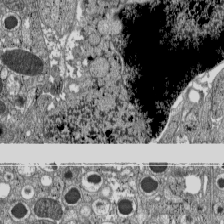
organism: C57BL Mouse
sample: Pancreatic islet